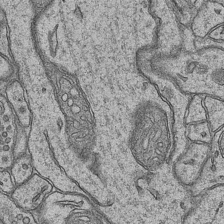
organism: Mouse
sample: CA1 Hippocampus